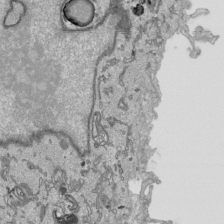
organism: Human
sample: Mitochondria in HCT116 cells